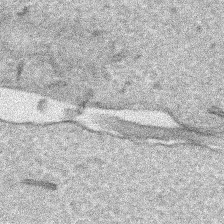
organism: Human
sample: Mitochondria in HCT116 cells